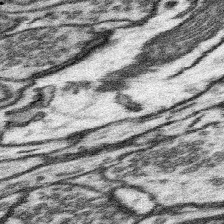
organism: Mouse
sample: Somatosensory cortex neuropil